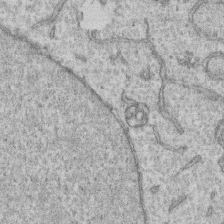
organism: Human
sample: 1205lu cells